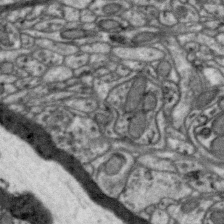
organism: Zebra finch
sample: Brain